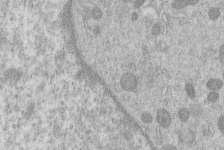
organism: Human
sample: Macrophage cells